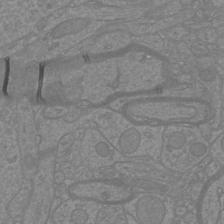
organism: Mouse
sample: Cortical neurons